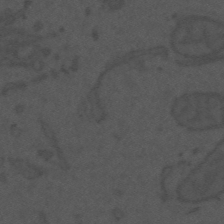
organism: Mouse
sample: Suprachiasmatic nucleus